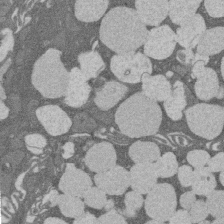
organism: Rat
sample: Salivary granule